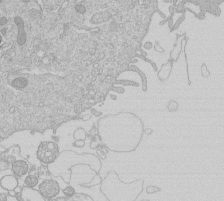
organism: Human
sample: Macrophage cells